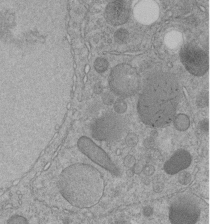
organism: C. elegans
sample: C. elegans embryo early stage